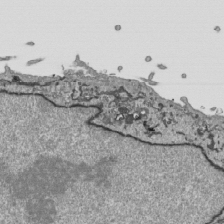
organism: Human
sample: Mitochondria in HCT116 cells